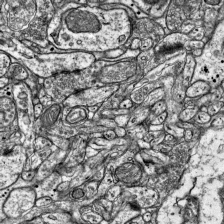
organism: Mouse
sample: Visual Cortex